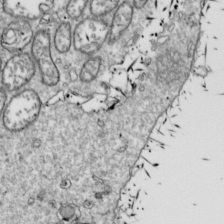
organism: Drosophila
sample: Cell division; meiosis; drosophila spermatocytes